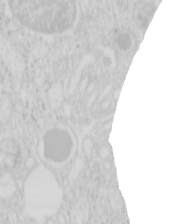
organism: Mouse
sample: Pancreas